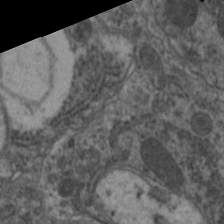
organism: C. elegans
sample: Pharynx